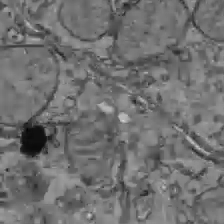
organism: C57BL Mouse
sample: Liver